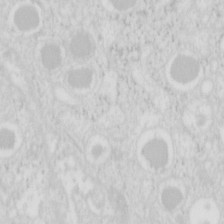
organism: Mouse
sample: Pancreas